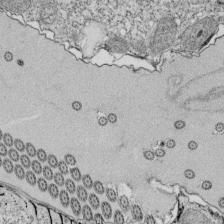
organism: Tetrahymena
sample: Cilia in tetrahymena